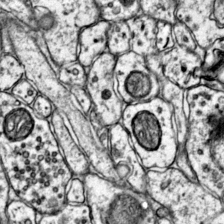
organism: Mouse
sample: Primary visual cortex